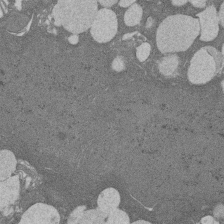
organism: Rat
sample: Salivary granule